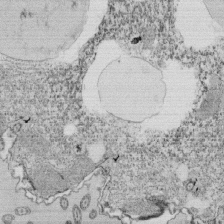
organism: Tetrahymena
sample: Cilia in tetrahymena